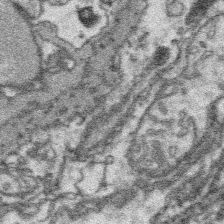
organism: Platynereis dumerilii